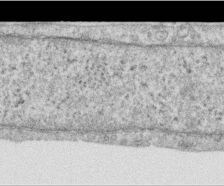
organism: Human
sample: Centriole in RPE cells